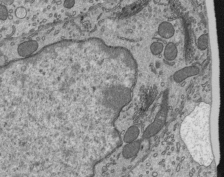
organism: Mouse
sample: Mouse epididymis efferent ductule cilia